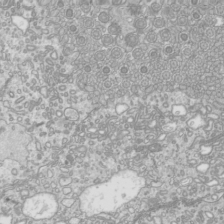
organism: Mouse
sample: Cilia; mouse epididymis